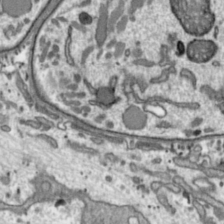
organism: Toxoplasma gondii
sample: Parasites in a vacuole inside a host cell